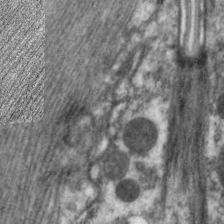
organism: C. elegans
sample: Pharynx